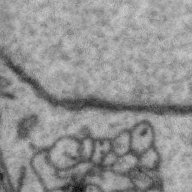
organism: Zebra finch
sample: Brain